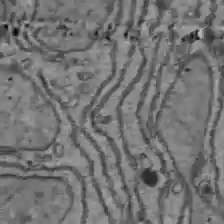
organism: C57BL Mouse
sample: Liver